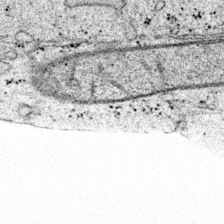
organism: Human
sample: HeLa cells